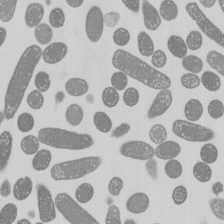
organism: E. coli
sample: Bacterial nucleoid